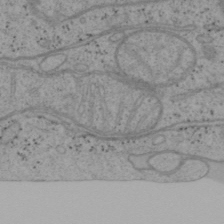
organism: Human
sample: HeLa cells